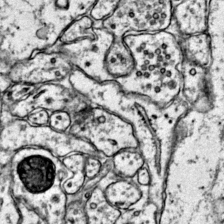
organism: Mouse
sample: Primary visual cortex